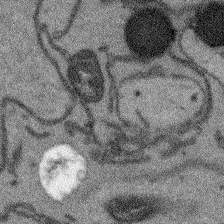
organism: Arabidopsis thaliana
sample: Root tip